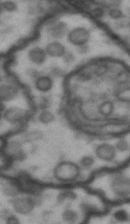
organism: Drosophila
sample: Brain